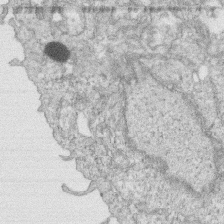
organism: Human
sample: HeLa cell HIV synapse